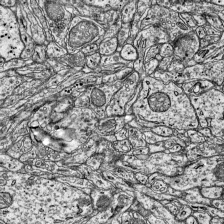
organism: Mouse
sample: Visual Cortex